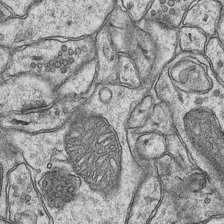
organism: Mouse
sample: CA1 Hippocampus